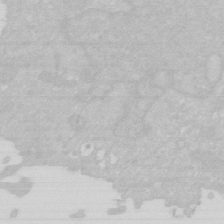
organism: Human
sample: HIV infected U937 cells